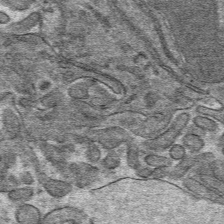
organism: Mouse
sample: Mouse hepatocytes